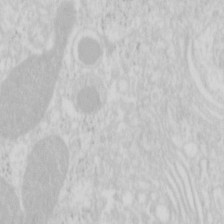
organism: Mouse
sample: Pancreas